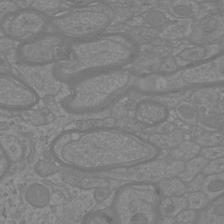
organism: Mouse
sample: Cortical neurons